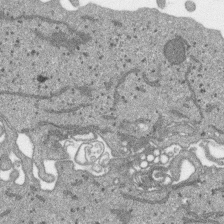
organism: Human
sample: Lung epithelial cells infected with SARS-CoV-2